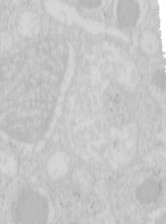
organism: Mouse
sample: Pancreas